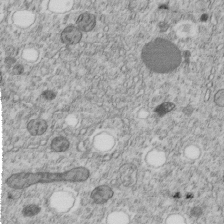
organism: C. elegans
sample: C. elegans embryo early stage